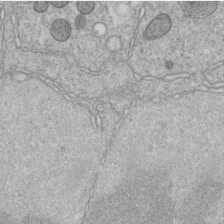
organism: C. elegans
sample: C. elegans embryo early stage